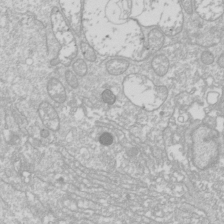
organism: Drosophila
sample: Cell division; meiosis; drosophila spermatocytes